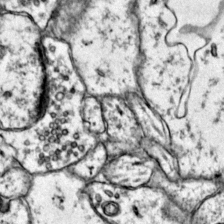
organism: Mouse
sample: Primary visual cortex